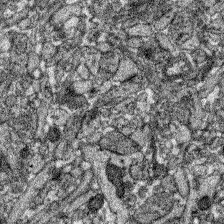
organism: Zebrafish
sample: Larval olfactory bulb